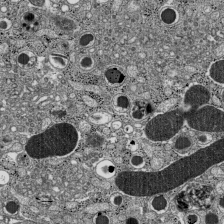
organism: C57BL Mouse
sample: Pancreatic islet